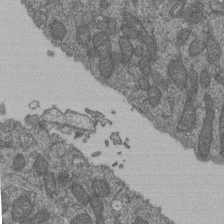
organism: Human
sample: Retinal organoid Rod and Cone cells